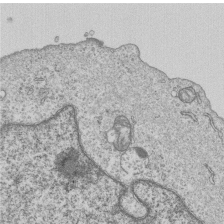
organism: Human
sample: MDA-MB-231 cells